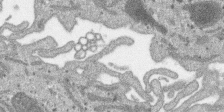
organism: Human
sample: Lung epithelial cells infected with SARS-CoV-2